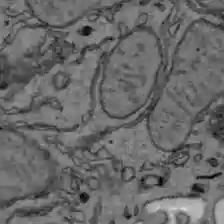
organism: C57BL Mouse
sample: Liver